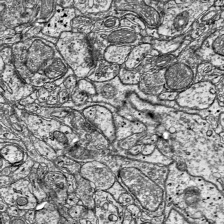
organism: Mouse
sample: Visual Cortex